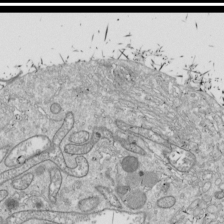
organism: Drosophila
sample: Cell division; meiosis; drosophila spermatocytes